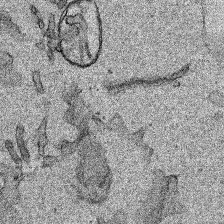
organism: Human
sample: Mitochondria in HCT116 cells